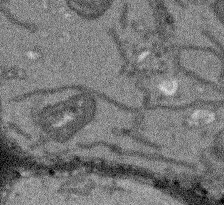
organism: Arabidopsis thaliana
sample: Root tip